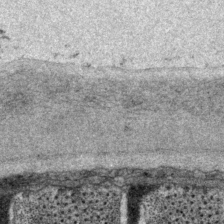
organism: P. pacificus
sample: Pharynx